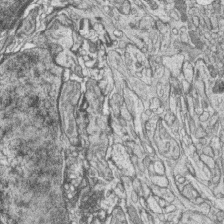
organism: Zebrafish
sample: synaptic ribbons in rod cells and cone cells